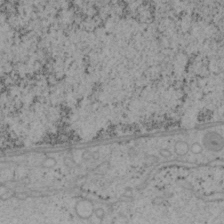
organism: Human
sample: HeLa cells